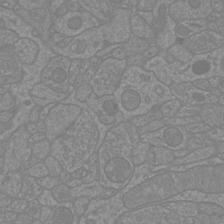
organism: Mouse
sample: Cortical neurons